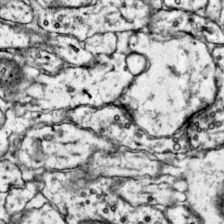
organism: Mouse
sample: Primary visual cortex